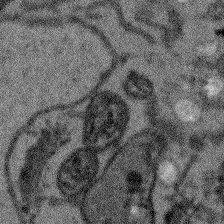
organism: Arabidopsis thaliana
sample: Root tip